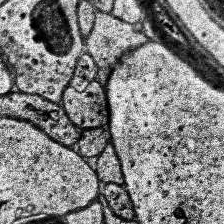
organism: Human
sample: Temporal Lobe